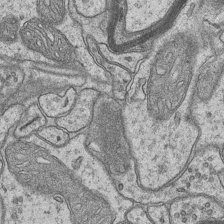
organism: Mouse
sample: CA1 Hippocampus